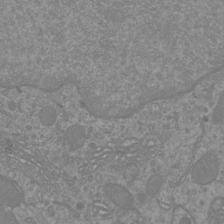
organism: Mouse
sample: Cortical neurons